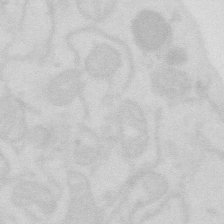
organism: Human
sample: HeLa cells